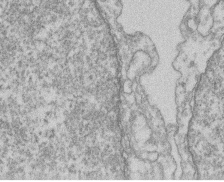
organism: Mouse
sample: T cell stromal cell synapse